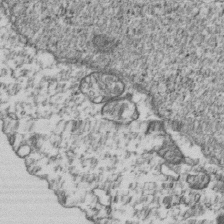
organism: Human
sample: Activated Jurkat CD4+ T cells